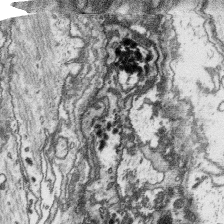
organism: Platynereis dumerilii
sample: Parapodia